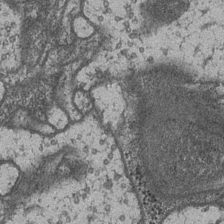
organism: Drosophila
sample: Optic medulla